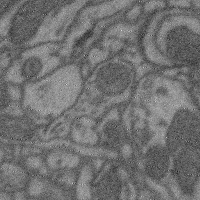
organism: Mouse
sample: Cerebral cortex